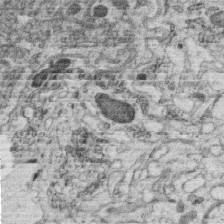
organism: C. elegans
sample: C. elegans oocyte; sperm cells